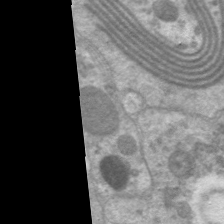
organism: C. elegans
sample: Pharynx